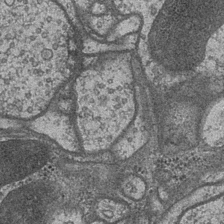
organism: Drosophila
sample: Optic medulla